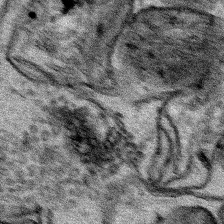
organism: Human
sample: Mitochondria in HCT116 cells